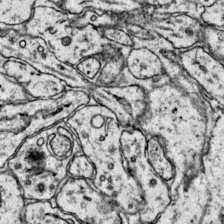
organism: Mouse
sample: Primary visual cortex